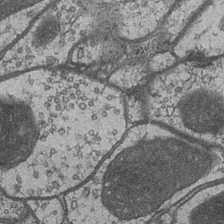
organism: Drosophila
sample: Optic medulla